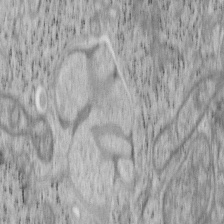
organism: Human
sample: HeLa cells